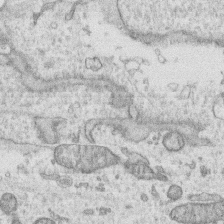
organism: Human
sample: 1205lu cells